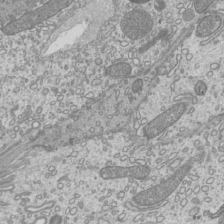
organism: Mouse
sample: Cilia; mouse epididymis